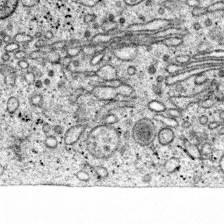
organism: Human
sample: HeLa cells